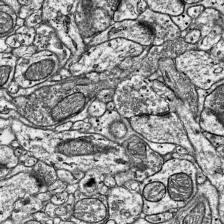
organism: Mouse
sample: Visual Cortex